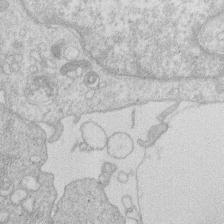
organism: Human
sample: Macrophage cells